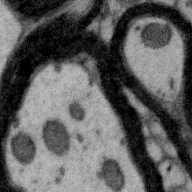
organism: Zebra finch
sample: Brain